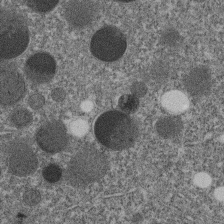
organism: C. elegans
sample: C. elegans embryo early stage